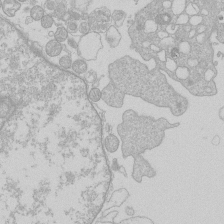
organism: Human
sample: Macrophage cells